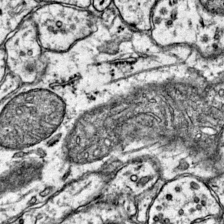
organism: Mouse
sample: Primary visual cortex